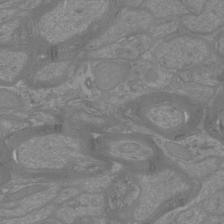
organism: Mouse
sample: Cortical neurons